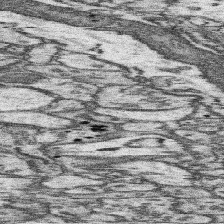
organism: Mouse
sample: Somatosensory cortex neuropil